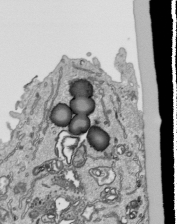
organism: Human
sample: Mitochondria in HCT116 cells